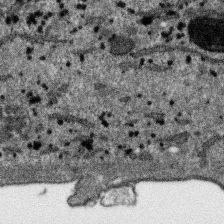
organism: Human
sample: Lung epithelial cells infected with SARS-CoV-2